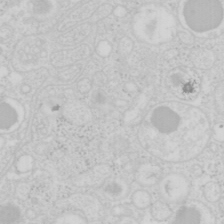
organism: Mouse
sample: Pancreas